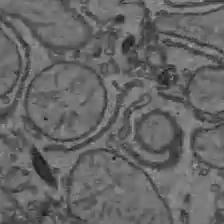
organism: C57BL Mouse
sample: Liver